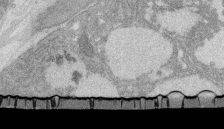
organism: Rat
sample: Salivary granule